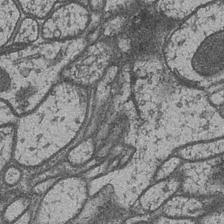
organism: Drosophila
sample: Optic medulla